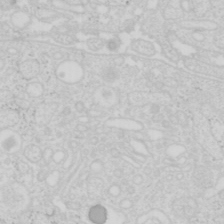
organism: Mouse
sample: Pancreas